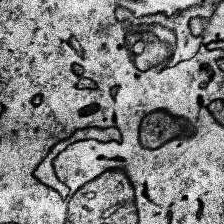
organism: Human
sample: Temporal Lobe